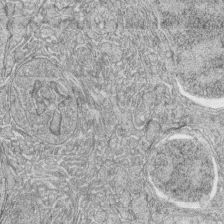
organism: Zebrafish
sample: synaptic ribbons in rod cells and cone cells